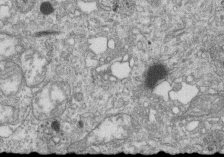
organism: Human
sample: HeLa cell HIV synapse